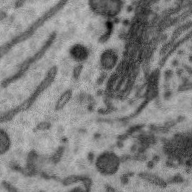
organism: Zebra finch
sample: Brain